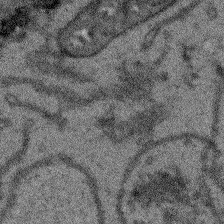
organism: Arabidopsis thaliana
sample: Root tip